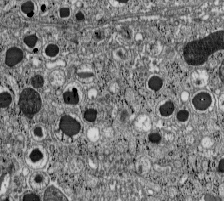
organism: C57BL Mouse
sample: Pancreatic islet